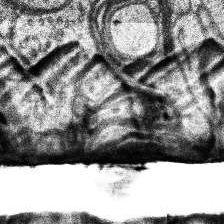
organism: Human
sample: Temporal Lobe